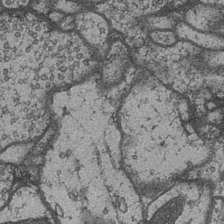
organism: Drosophila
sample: Optic medulla